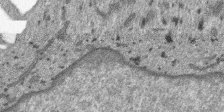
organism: Human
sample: Lung epithelial cells infected with SARS-CoV-2